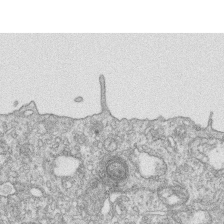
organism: Human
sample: HeLa cell HIV synapse